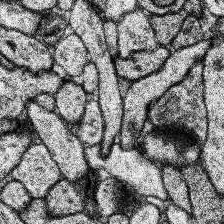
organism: Human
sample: Temporal Lobe